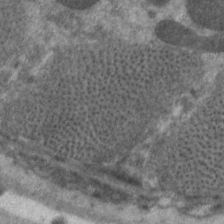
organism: C. elegans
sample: Pharynx